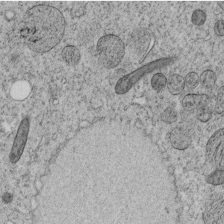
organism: C. elegans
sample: C. elegans embryo early stage